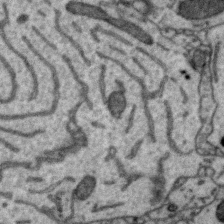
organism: Zebra finch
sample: Brain